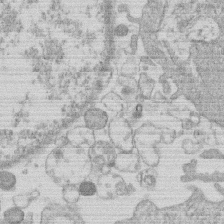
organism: Human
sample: Macrophage cells